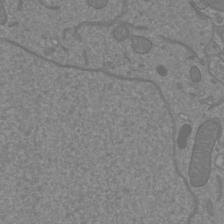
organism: Mouse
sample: Cortical neurons